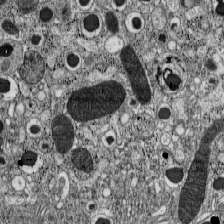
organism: C57BL Mouse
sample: Pancreatic islet